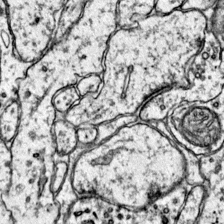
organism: Mouse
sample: Primary visual cortex